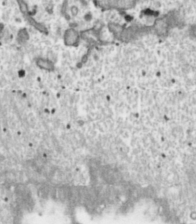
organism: Toxoplasma gondii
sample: Parasites in a vacuole inside a host cell